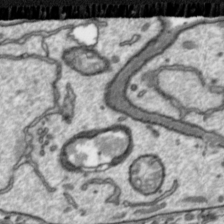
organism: Toxoplasma gondii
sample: Parasites in a vacuole inside a host cell